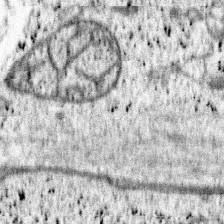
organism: Human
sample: HeLa cells